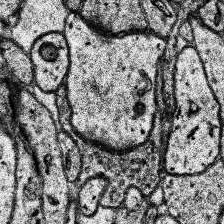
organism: Human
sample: Temporal Lobe